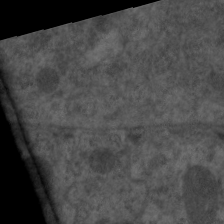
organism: C. elegans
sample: Pharynx